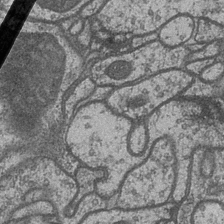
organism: Drosophila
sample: Optic medulla